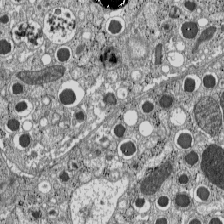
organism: C57BL Mouse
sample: Pancreatic islet